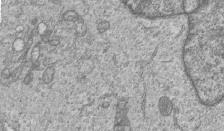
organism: Human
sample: MDA-MB-231 cells